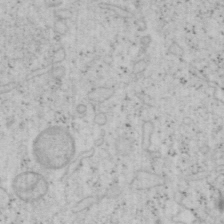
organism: Human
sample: HeLa cells